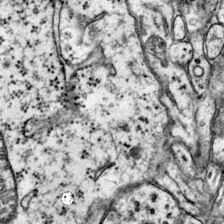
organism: Mouse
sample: Primary visual cortex